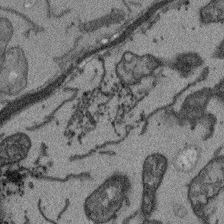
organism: Arabidopsis thaliana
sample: Root tip